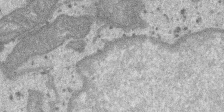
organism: Human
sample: Lung epithelial cells infected with SARS-CoV-2